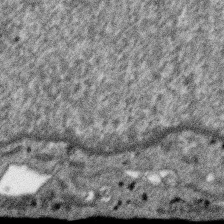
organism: Human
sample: Lung epithelial cells infected with SARS-CoV-2